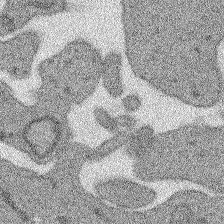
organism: Human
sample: HeLa cells